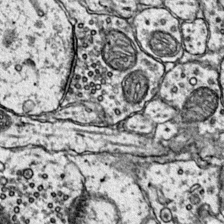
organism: Mouse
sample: Primary visual cortex